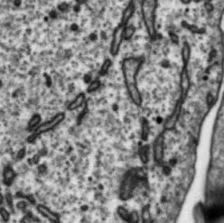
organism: Human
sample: HeLa cells